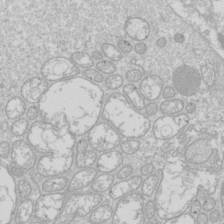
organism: Drosophila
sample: Cell division; meiosis; drosophila spermatocytes